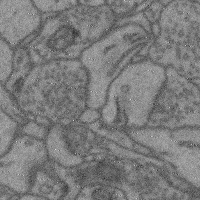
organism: Mouse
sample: Cerebral cortex